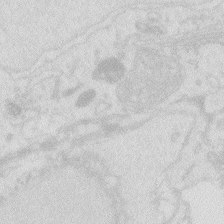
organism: Zebrafish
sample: Macrophage